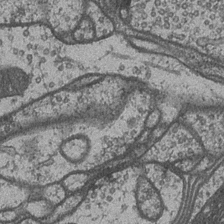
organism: Drosophila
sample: Optic medulla